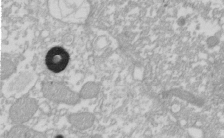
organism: Xenopus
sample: Cilia; centrioles in frog embryo cells